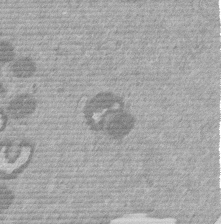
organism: Mouse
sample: Dividing mouse embryo 1 cell stage